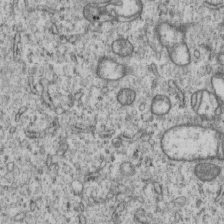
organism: Human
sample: MDA-MB-231 cells